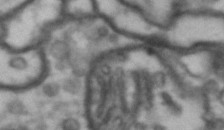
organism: Drosophila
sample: Brain